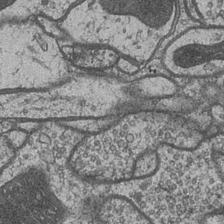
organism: Drosophila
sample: Optic medulla